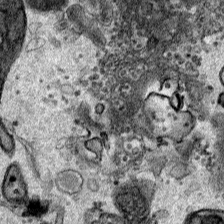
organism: Human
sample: Mitochondria in HCT116 cells